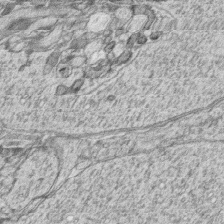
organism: Zebrafish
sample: synaptic ribbons in rod cells and cone cells